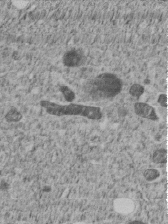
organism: C. elegans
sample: C. elegans embryo early stage